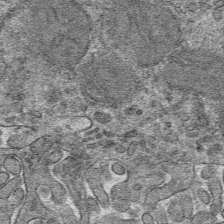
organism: Mouse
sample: Mouse hepatocytes